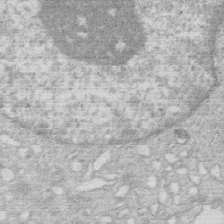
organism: Human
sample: Macrophage cells